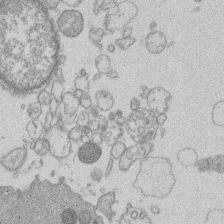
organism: Human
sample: Macrophage cells